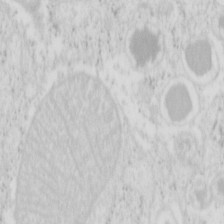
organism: Mouse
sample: Pancreas